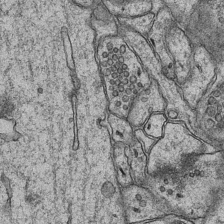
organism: Mouse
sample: CA1 Hippocampus